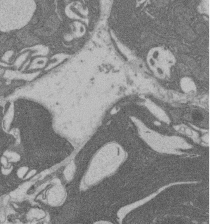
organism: Rat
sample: Salivary granule